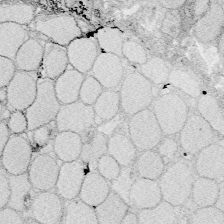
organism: Zebrafish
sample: Whole-Brain